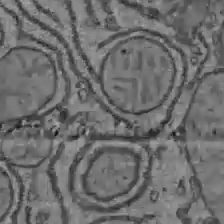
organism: C57BL Mouse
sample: Liver